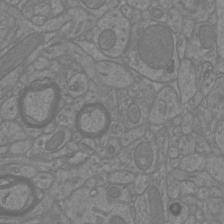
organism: Mouse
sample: Cortical neurons